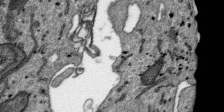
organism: Human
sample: Lung epithelial cells, uninfected (mock) control